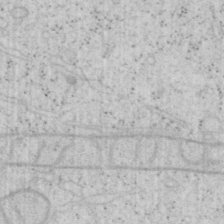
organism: Human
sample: HeLa cells